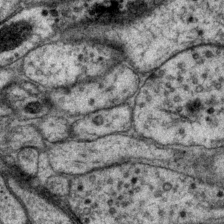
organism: P. pacificus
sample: Pharynx